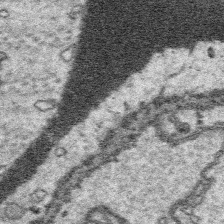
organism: Platynereis dumerilii